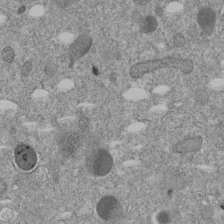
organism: C. elegans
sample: C. elegans embryo early stage